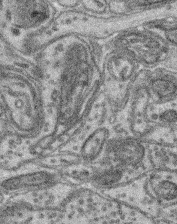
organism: Mouse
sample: Retina